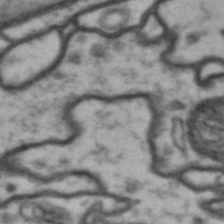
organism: Drosophila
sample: Brain